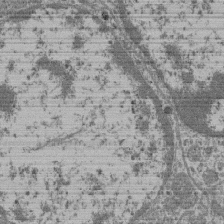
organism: Mouse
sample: Glomerulus